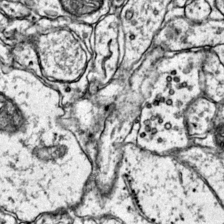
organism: Mouse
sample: Primary visual cortex